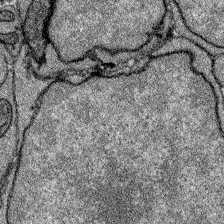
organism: Zebrafish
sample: Larval olfactory bulb